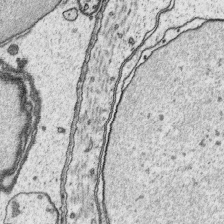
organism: Platynereis dumerilii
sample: Parapodia